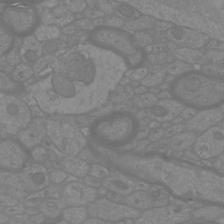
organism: Mouse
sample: Cortical neurons